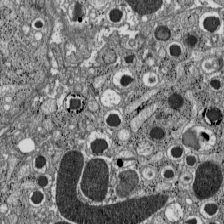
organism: C57BL Mouse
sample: Pancreatic islet